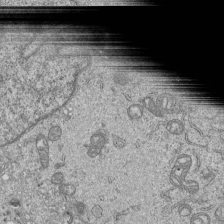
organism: Human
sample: MDA-MB-231 cells